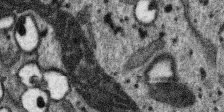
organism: Human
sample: Lung epithelial cells infected with SARS-CoV-2